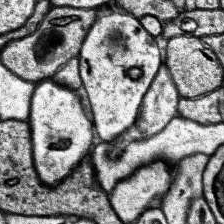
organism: Human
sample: Temporal Lobe